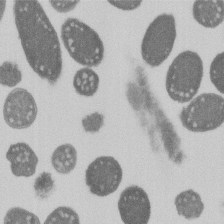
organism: E. coli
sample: Bacterial nucleoid